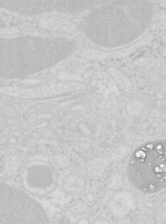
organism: Mouse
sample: Pancreas